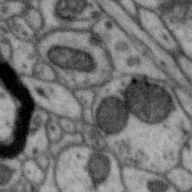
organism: Zebra finch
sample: Brain